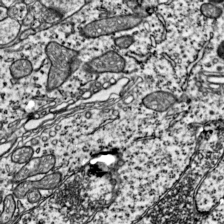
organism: Mouse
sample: Visual Cortex